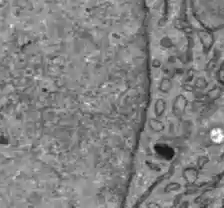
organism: C57BL Mouse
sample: Liver